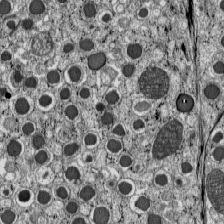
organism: C57BL Mouse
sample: Pancreatic islet